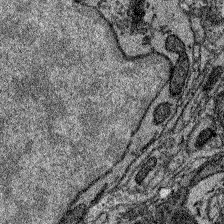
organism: Zebrafish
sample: Larval olfactory bulb